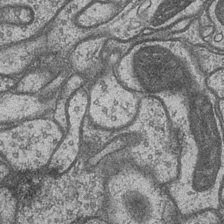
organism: Drosophila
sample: Optic medulla